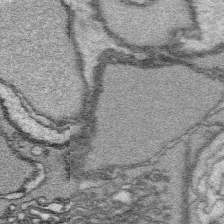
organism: Platynereis dumerilii